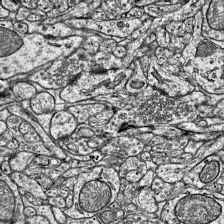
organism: Mouse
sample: Visual Cortex